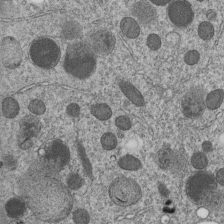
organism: C. elegans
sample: C. elegans embryo early stage